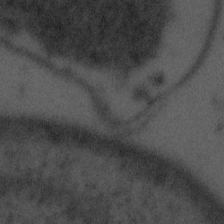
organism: Tuwongella immobilis